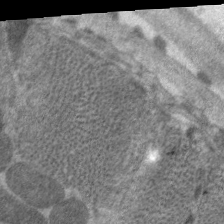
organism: C. elegans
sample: Pharynx